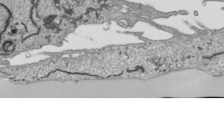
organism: Human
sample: Mitochondria in HCT116 cells